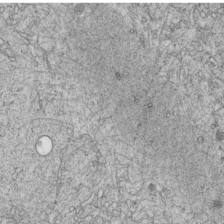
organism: C. elegans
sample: C. elegans embryo early stage